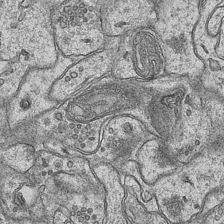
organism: Mouse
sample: CA1 Hippocampus